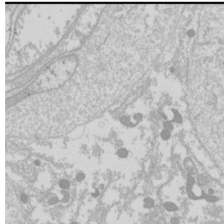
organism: Drosophila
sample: Cell division; meiosis; drosophila spermatocytes